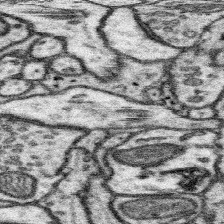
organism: Mouse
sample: Somatosensory cortex neuropil